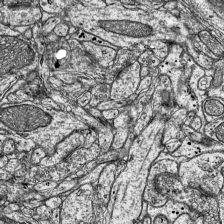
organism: Mouse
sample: Visual Cortex